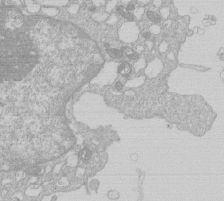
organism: Human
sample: Macrophage cells